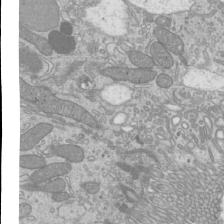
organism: Mouse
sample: Cilia; mouse epididymis